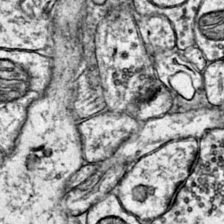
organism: Mouse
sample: Primary visual cortex